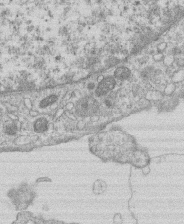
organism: Human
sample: Macrophage cells